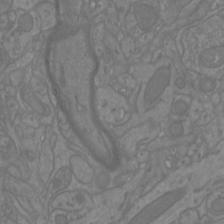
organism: Mouse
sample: Cortical neurons